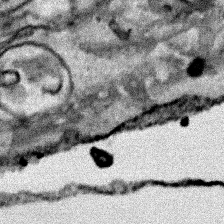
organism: Human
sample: Mitochondria in HCT116 cells